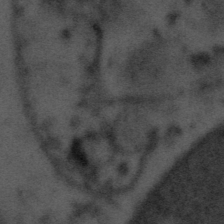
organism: Tuwongella immobilis